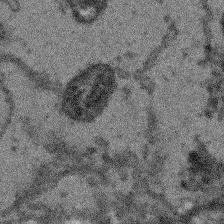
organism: Arabidopsis thaliana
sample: Root tip